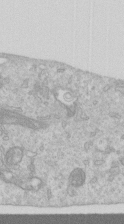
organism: Human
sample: Centriole in RPE cells